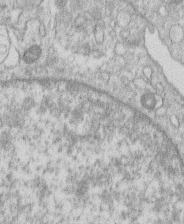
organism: Human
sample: Macrophage cells